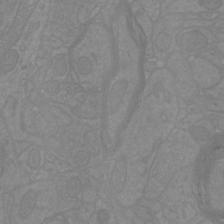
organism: Mouse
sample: Cortical neurons